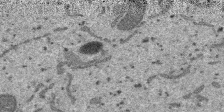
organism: Human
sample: Lung epithelial cells infected with SARS-CoV-2